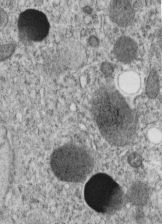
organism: C. elegans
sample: C. elegans embryo early stage